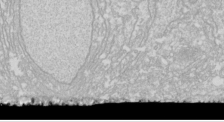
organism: Drosophila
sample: Cell division; meiosis; drosophila spermatocytes